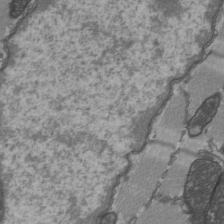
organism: C57BL Mouse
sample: Heart